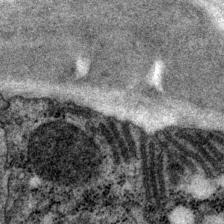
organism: P. pacificus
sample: Pharynx